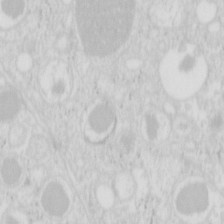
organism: Mouse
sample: Pancreas